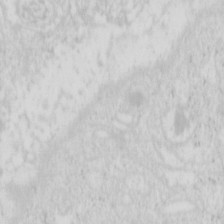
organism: Mouse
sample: Pancreas